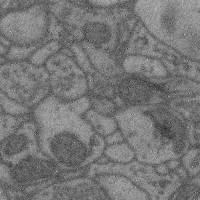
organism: Mouse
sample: Cerebral cortex